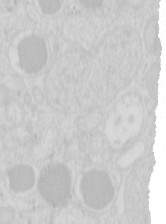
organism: Mouse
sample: Pancreas